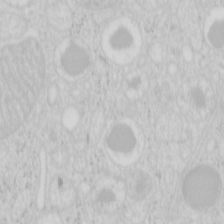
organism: Mouse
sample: Pancreas